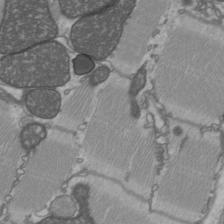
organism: C57BL Mouse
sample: Heart